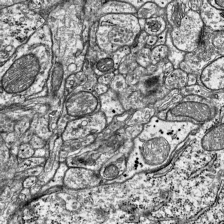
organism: Mouse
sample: Visual Cortex